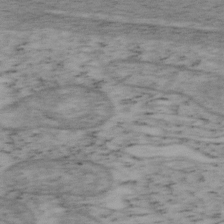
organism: Mouse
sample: OT-I killer T cells with ID8 ovarian cancer cells